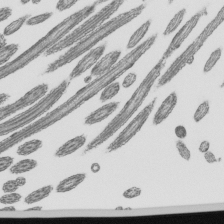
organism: Mouse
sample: Mouse epididymis efferent ductule cilia